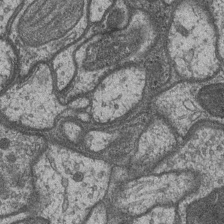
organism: Drosophila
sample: Optic medulla